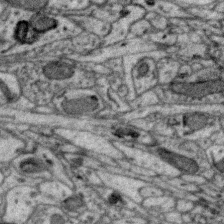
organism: Zebra finch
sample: Brain